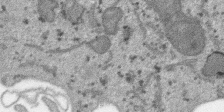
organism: Human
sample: Lung epithelial cells infected with SARS-CoV-2